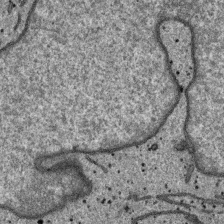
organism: Human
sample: Lung epithelial cells, uninfected (mock) control